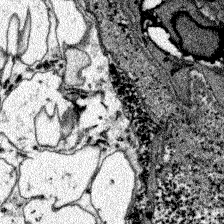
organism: Zebrafish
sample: Larval olfactory bulb